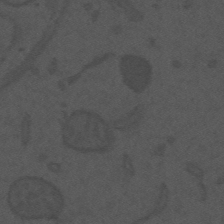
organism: Mouse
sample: Suprachiasmatic nucleus